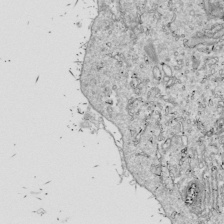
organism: Drosophila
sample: Cell division; meiosis; drosophila spermatocytes